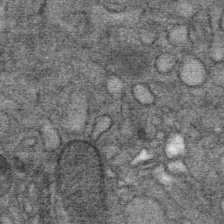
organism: Mouse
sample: Mouse Salivary gland